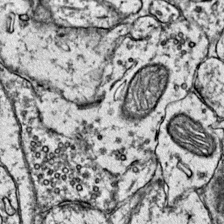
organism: Mouse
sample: Primary visual cortex